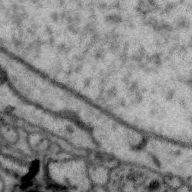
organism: Zebra finch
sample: Brain